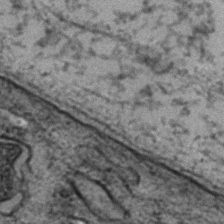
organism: Zebrafish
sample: Zebrafish embryo